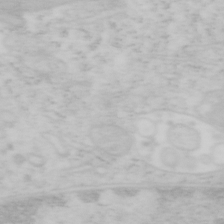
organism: Mouse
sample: OT-I killer T cells with ID8 ovarian cancer cells